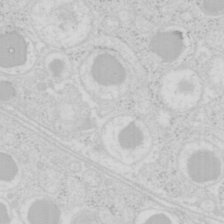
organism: Mouse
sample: Pancreas